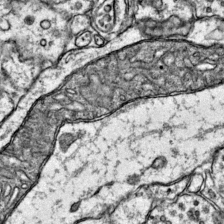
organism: Mouse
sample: Primary visual cortex